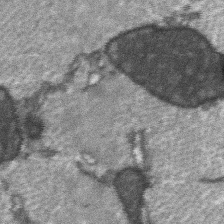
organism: C57BL Mouse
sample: Soleus